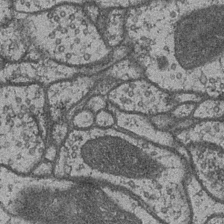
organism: Drosophila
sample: Optic medulla